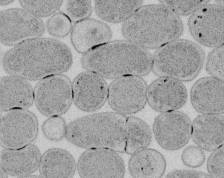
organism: E. coli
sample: Bacterial nucleoid